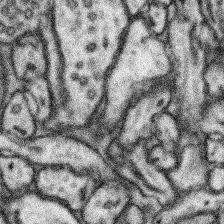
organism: Mouse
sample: Somatosensory cortex neuropil